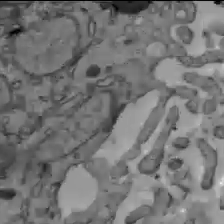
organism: C57BL Mouse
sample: Liver